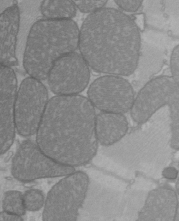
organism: C57BL Mouse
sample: Heart